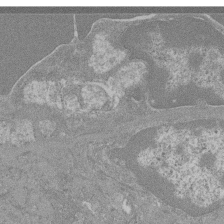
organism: Mouse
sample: Glomerulus